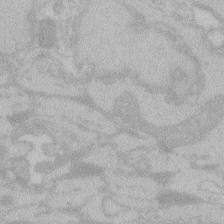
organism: Zebrafish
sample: Macrophage infected with Toxoplasma gondii